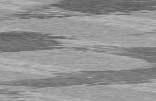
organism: C57BL Mouse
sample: Heart